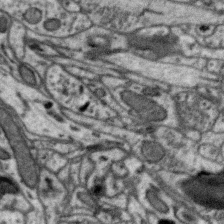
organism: Zebra finch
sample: Brain